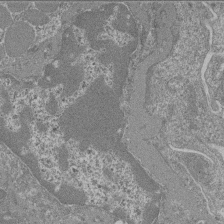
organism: Mouse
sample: Glomerulus